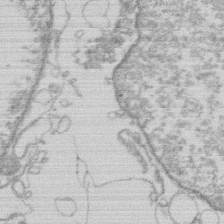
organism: Human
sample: Macrophage cells